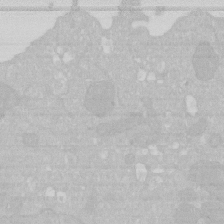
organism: Human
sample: HIV infected U937 cells